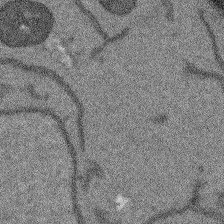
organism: Arabidopsis thaliana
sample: Root tip